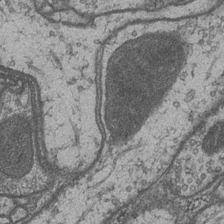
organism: Drosophila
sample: Optic medulla